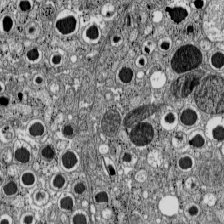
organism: C57BL Mouse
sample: Pancreatic islet